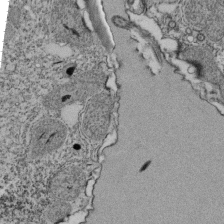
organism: Tetrahymena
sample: Cilia in tetrahymena